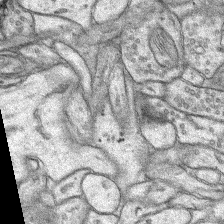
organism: Rat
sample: Hippocampus